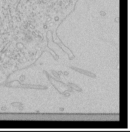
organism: Human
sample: Mitochondria in HCT116 cells